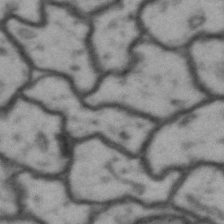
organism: Drosophila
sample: Brain